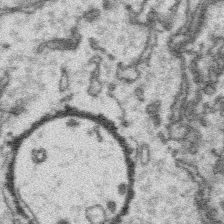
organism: Platynereis dumerilii